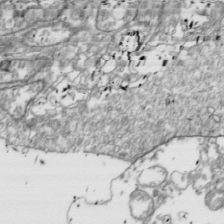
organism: Drosophila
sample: Cell division; meiosis; drosophila spermatocytes